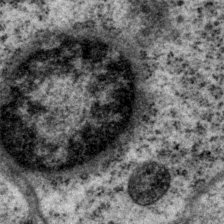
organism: P. pacificus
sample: Pharynx